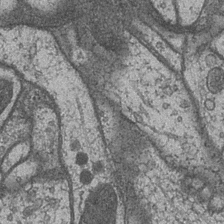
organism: Drosophila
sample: Optic medulla